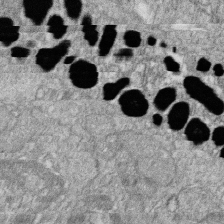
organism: Zebrafish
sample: Cilia; retinal pigment epithelium